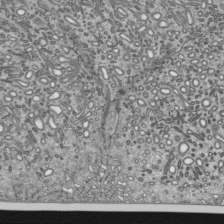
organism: Mouse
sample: Mouse epididymis efferent ductule cilia